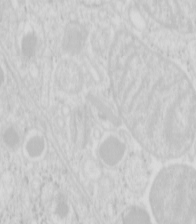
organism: Mouse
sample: Pancreas